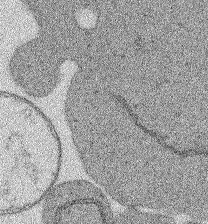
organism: Human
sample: HeLa cells